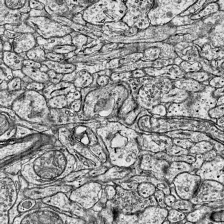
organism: Mouse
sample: Visual Cortex